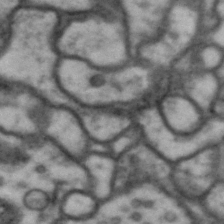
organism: Drosophila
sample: Brain